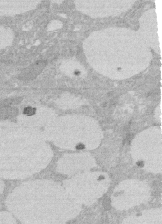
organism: Rat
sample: Salivary granule